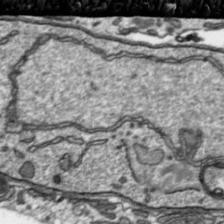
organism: Toxoplasma gondii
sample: Parasites in a vacuole inside a host cell